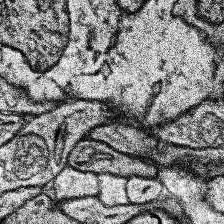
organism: Human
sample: Temporal Lobe